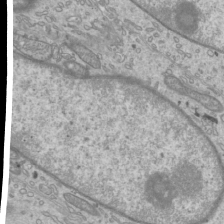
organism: Mouse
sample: Cilia; mouse epididymis